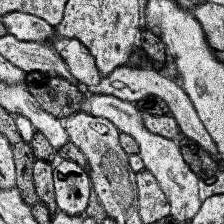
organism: Human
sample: Temporal Lobe